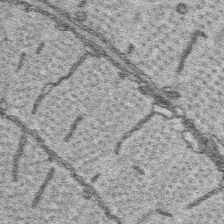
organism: Platynereis dumerilii